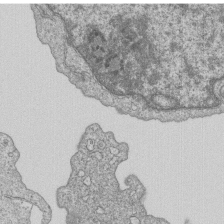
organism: Human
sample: MDA-MB-231 cells